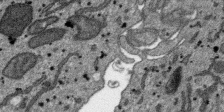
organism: Human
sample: Lung epithelial cells, uninfected (mock) control